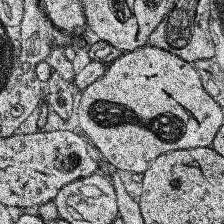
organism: Human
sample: Temporal Lobe